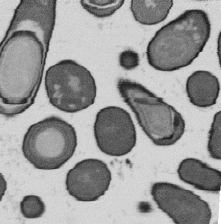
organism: B. subtilis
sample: Bacterial spore